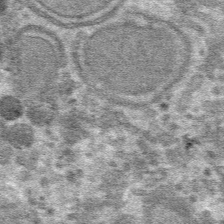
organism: Mouse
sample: Mouse hepatocytes